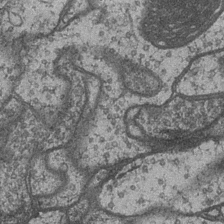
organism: Drosophila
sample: Optic medulla